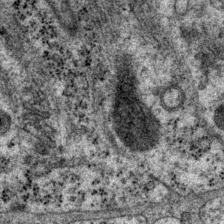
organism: P. pacificus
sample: Pharynx